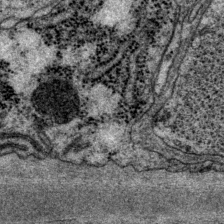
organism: P. pacificus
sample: Pharynx